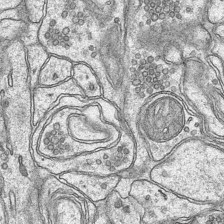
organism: Mouse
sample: CA1 Hippocampus